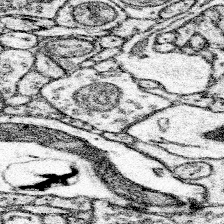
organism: Mouse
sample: Somatosensory cortex neuropil